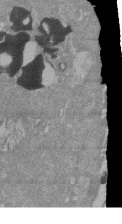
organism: Mouse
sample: ED-1 cell nuclei; centrioles